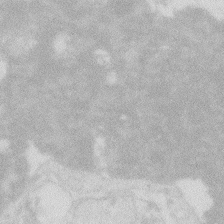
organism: Zebrafish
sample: Macrophage